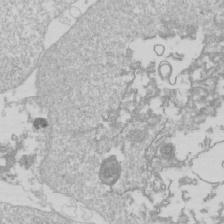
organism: Drosophila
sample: Cell division; meiosis; drosophila spermatocytes